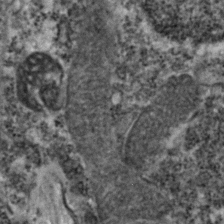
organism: Zebrafish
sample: Zebrafish embryo